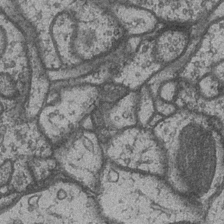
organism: Drosophila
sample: Optic medulla